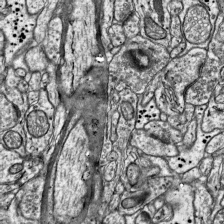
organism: Mouse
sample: Visual Cortex